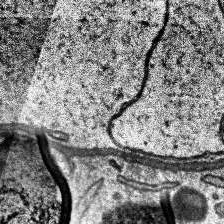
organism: Human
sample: Temporal Lobe